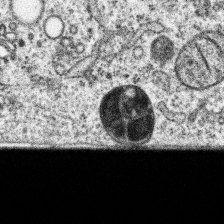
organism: Human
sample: HeLa cells